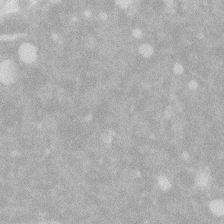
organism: Zebrafish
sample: Macrophage